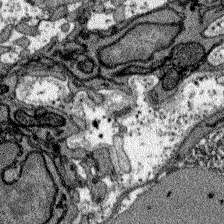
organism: Zebrafish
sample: Larval olfactory bulb